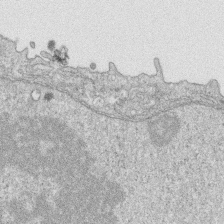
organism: Human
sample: HeLa cell HIV synapse